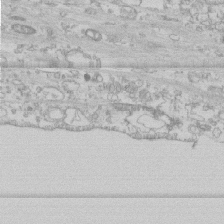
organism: Human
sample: CRL-1474